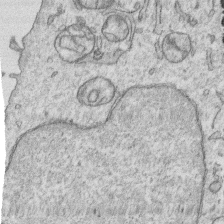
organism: Human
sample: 1205lu cells